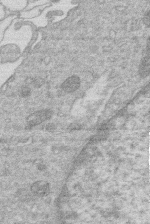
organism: Human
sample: Macrophage cells